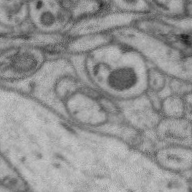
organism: Zebra finch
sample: Brain